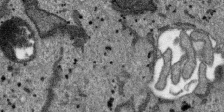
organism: Human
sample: Lung epithelial cells, uninfected (mock) control